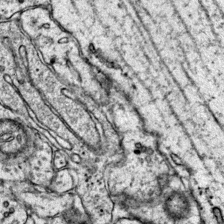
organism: Mouse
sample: Primary visual cortex